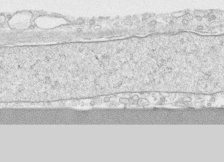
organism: Human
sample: CRL-1474